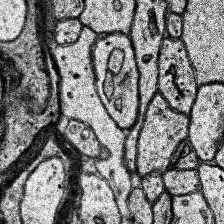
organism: Human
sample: Temporal Lobe